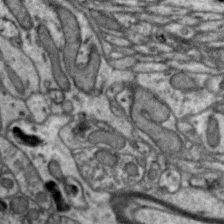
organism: Zebra finch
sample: Brain